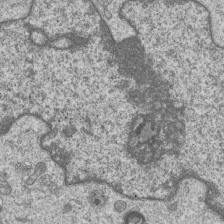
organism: Human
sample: MDA-MB-231 cells